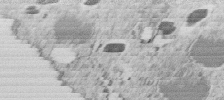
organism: C. elegans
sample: C. elegans embryo early stage